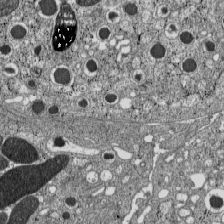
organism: C57BL Mouse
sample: Pancreatic islet